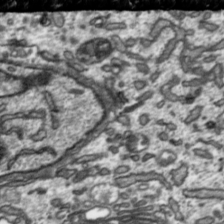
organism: Toxoplasma gondii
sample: Parasites in a vacuole inside a host cell